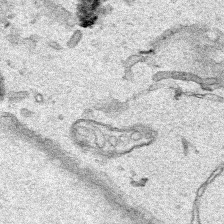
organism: Human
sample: Mitochondria in HCT116 cells